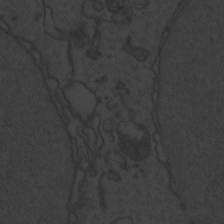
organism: Zebrafish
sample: Macrophage infected with Toxoplasma gondii